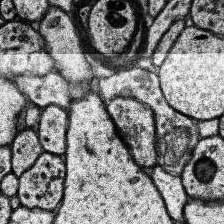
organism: Human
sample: Temporal Lobe